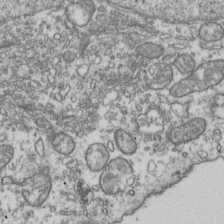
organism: Human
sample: Activated Jurkat CD4+ T cells